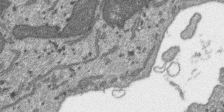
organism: Human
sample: Lung epithelial cells infected with SARS-CoV-2